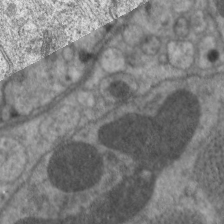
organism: C. elegans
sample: Pharynx